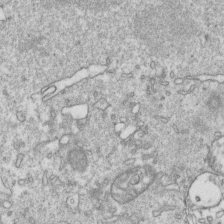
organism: Mouse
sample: Activated OT-1 CD8+ T cells